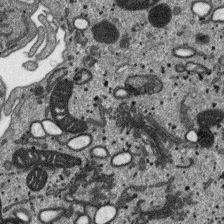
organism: Human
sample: Lung epithelial cells infected with SARS-CoV-2